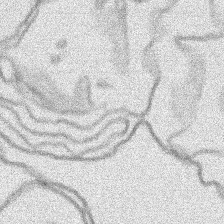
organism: Human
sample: Mitochondria in HCT116 cells